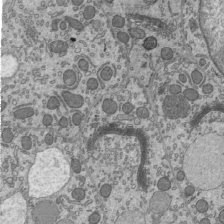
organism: Mouse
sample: Mouse epididymis efferent ductule cilia